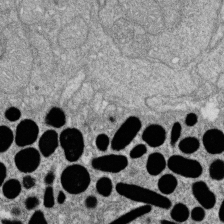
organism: Zebrafish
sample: Cilia; retinal pigment epithelium